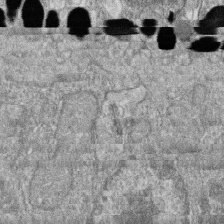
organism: Zebrafish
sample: Cilia; retinal pigment epithelium